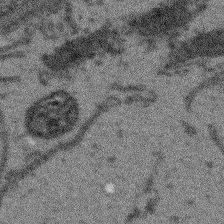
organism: Arabidopsis thaliana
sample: Root tip